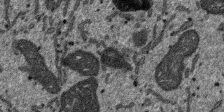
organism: Human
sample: Lung epithelial cells infected with SARS-CoV-2